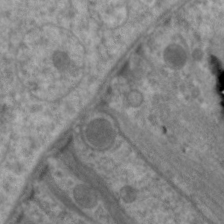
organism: C. elegans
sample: Pharynx